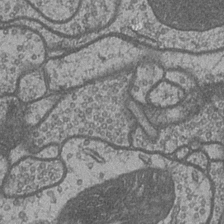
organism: Drosophila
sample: Optic medulla